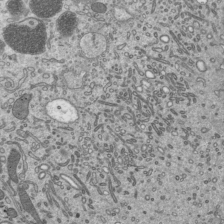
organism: Mouse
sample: Mouse epididymis efferent ductule cilia